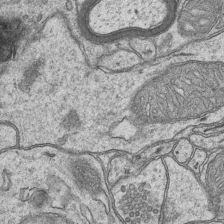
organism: Mouse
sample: CA1 Hippocampus